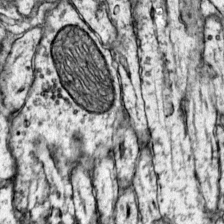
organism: Mouse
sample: Primary visual cortex